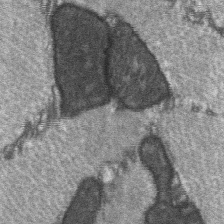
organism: C57BL Mouse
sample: Soleus